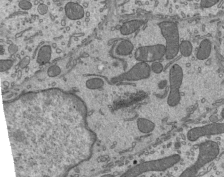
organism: Mouse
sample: Mouse epididymis efferent ductule cilia